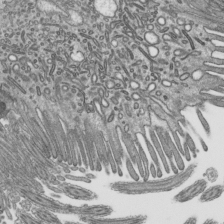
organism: Mouse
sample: Mouse epididymis efferent ductule cilia